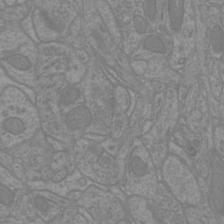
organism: Mouse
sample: Cortical neurons